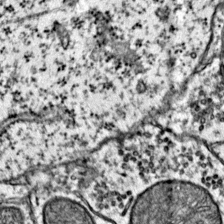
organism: Mouse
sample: Primary visual cortex